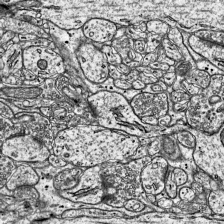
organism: Mouse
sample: Visual Cortex